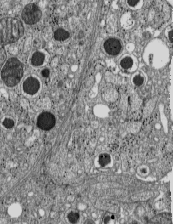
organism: C57BL Mouse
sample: Pancreatic islet